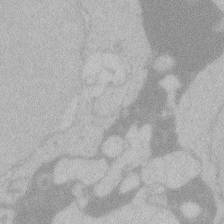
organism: Zebrafish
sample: Macrophage infected with Toxoplasma gondii